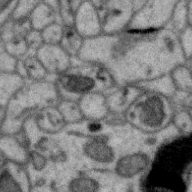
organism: Zebra finch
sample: Brain